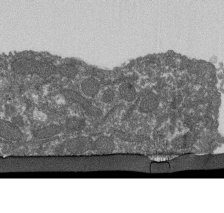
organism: Dictyostelium discoideum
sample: Dictyostelium multivesicular bodies